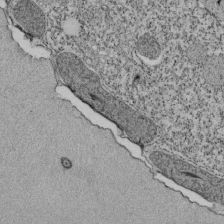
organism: Tetrahymena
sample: Cilia in tetrahymena